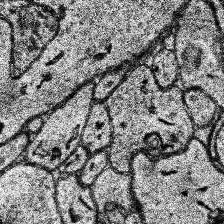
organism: Human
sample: Temporal Lobe